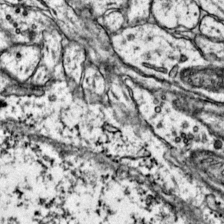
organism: Mouse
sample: Primary visual cortex